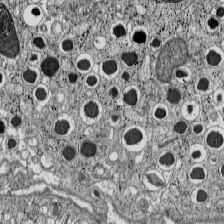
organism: C57BL Mouse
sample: Pancreatic islet